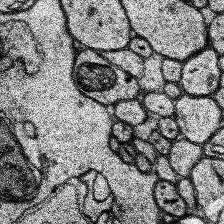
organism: Human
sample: Temporal Lobe